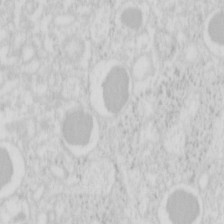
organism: Mouse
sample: Pancreas